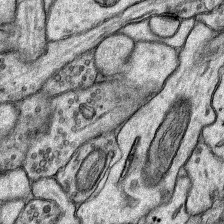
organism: Rat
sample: Hippocampus